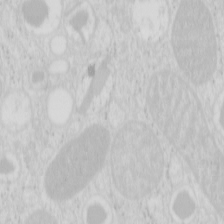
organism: Mouse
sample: Pancreas